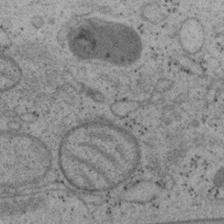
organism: Human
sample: HeLa cells